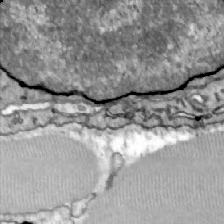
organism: Zebrafish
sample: Actinotrichia fibers